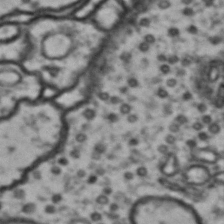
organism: Drosophila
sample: Brain